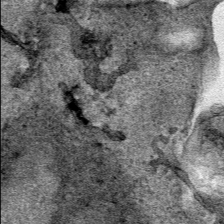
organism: Human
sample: Mitochondria in HCT116 cells